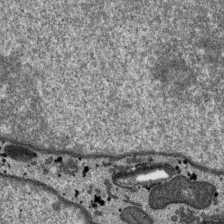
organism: Human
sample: Lung epithelial cells, uninfected (mock) control